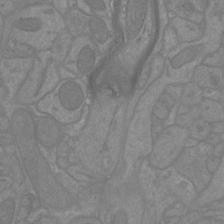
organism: Mouse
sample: Cortical neurons